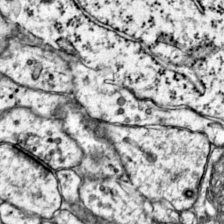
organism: Mouse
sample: Primary visual cortex